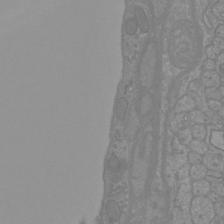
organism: Mouse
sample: Cortical neurons